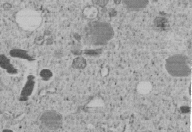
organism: C. elegans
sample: C. elegans embryo early stage